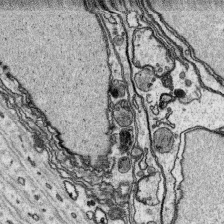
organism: Platynereis dumerilii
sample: Parapodia